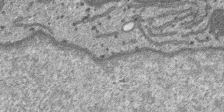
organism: Human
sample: Lung epithelial cells infected with SARS-CoV-2